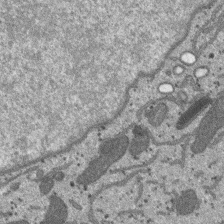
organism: Human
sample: Lung epithelial cells infected with SARS-CoV-2